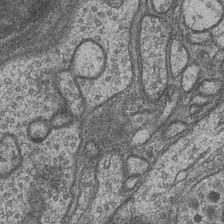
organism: Drosophila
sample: Optic medulla